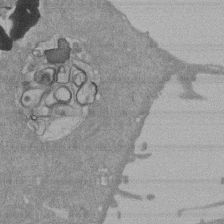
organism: Mouse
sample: ED-1 cell nuclei; centrioles